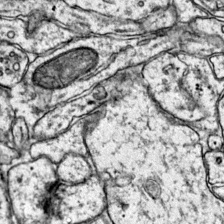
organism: Mouse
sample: Primary visual cortex